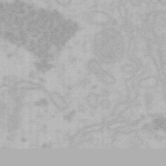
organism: Mouse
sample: Choroid plexus